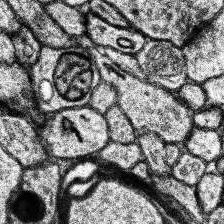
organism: Human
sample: Temporal Lobe